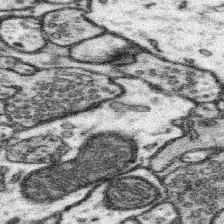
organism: Mouse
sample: Somatosensory cortex neuropil